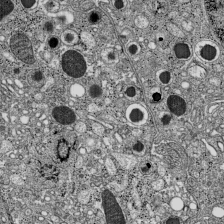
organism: C57BL Mouse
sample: Pancreatic islet